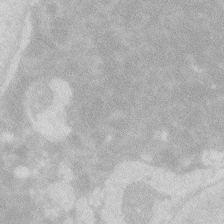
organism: Zebrafish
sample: Macrophage